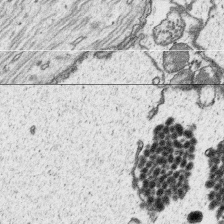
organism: Platynereis dumerilii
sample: Parapodia